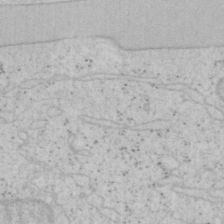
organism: Human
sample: HeLa cells